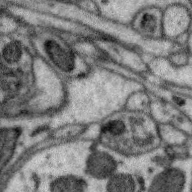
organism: Zebra finch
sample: Brain